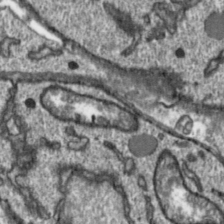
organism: Toxoplasma gondii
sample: Parasites in a vacuole inside a host cell